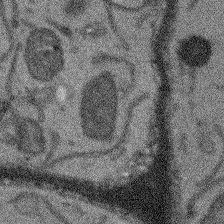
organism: Arabidopsis thaliana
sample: Root tip